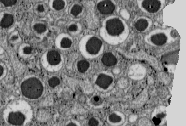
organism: C57BL Mouse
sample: Pancreatic islet